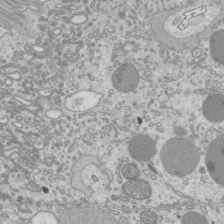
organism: Mouse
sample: Cilia; mouse epididymis